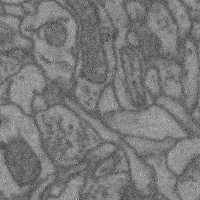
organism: Mouse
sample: Cerebral cortex